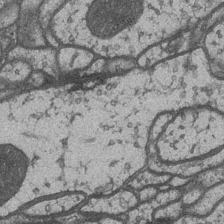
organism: Drosophila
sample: Optic medulla